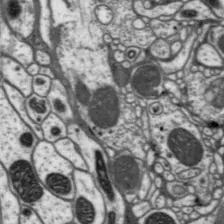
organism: Drosophila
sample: Protocerebral bridge